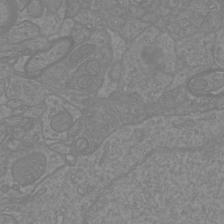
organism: Mouse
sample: Cortical neurons